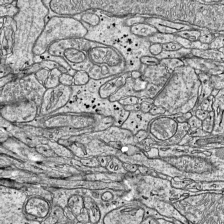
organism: Mouse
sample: Visual Cortex